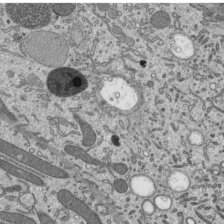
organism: Mouse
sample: Mouse epididymis efferent ductule cilia